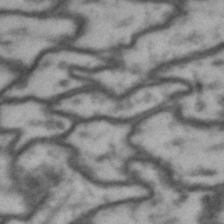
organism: Drosophila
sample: Brain